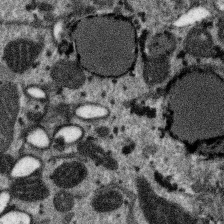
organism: Human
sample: Lung epithelial cells infected with SARS-CoV-2